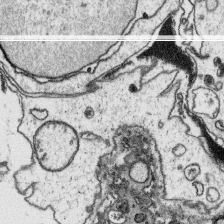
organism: Platynereis dumerilii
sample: Parapodia